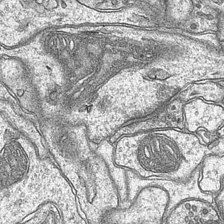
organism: Mouse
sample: CA1 Hippocampus